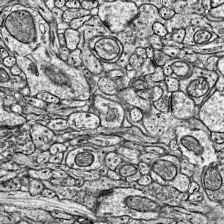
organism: Mouse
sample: Visual Cortex